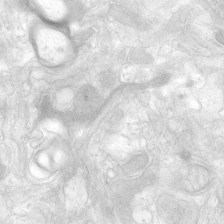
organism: Human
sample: Neocortex